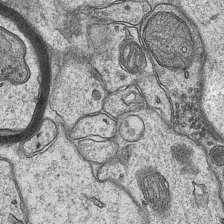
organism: Mouse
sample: CA1 Hippocampus